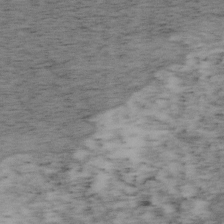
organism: Mouse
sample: OT-I killer T cells with ID8 ovarian cancer cells